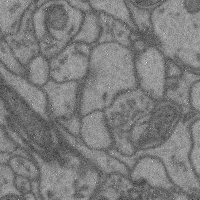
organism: Mouse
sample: Cerebral cortex